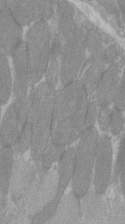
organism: C57BL Mouse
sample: Tibialis anterior muscle cell